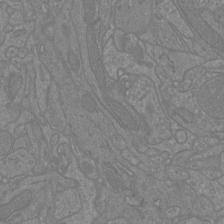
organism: Mouse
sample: Cortical neurons